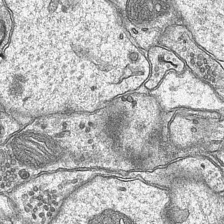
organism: Mouse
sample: CA1 Hippocampus